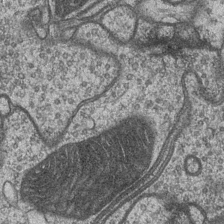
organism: Drosophila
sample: Optic medulla